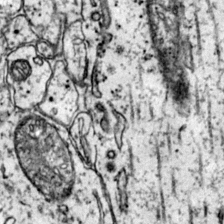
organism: Mouse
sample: Primary visual cortex